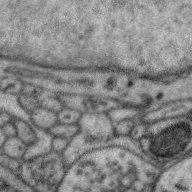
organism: Zebra finch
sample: Brain